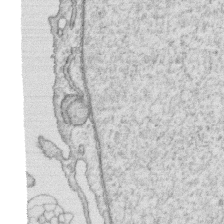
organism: Human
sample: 1205lu cells